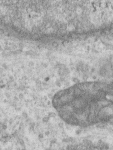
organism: Human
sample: Centriole in RPE cells